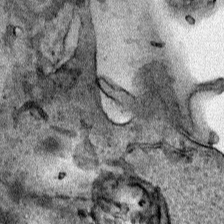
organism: Human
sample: Mitochondria in HCT116 cells